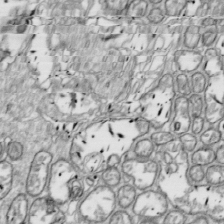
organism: Drosophila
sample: Cell division; meiosis; drosophila spermatocytes